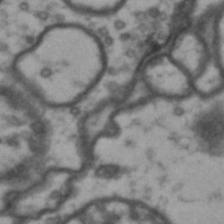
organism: Drosophila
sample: Brain